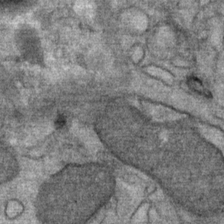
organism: Mouse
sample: Mouse Salivary gland